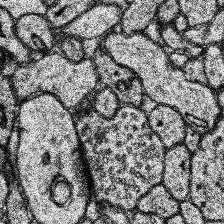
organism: Human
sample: Temporal Lobe